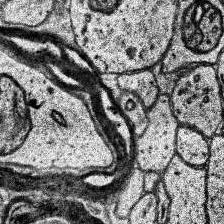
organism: Human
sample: Temporal Lobe